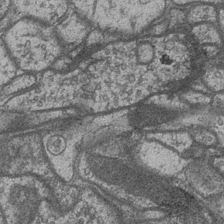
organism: Drosophila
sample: Optic medulla